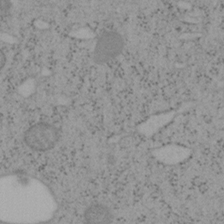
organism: Mouse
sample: OT-I killer T cells with ID8 ovarian cancer cells